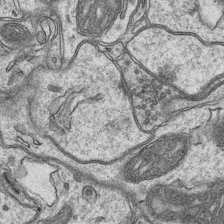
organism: Mouse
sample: CA1 Hippocampus